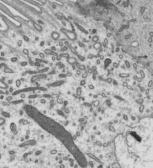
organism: Mouse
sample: Mouse epididymis efferent ductule cilia